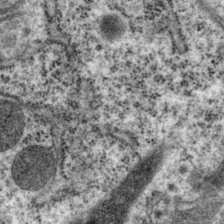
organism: P. pacificus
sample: Pharynx